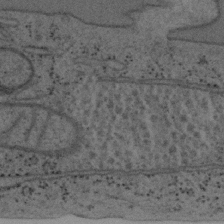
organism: Human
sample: HeLa cells